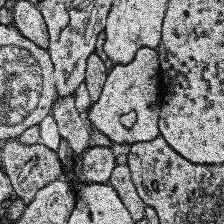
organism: Human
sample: Temporal Lobe